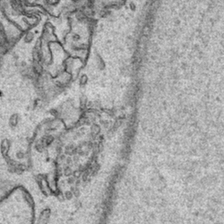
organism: Human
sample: Mitochondria in HCT116 cells